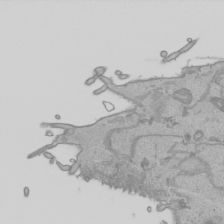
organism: Human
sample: Mitochondria in HCT116 cells